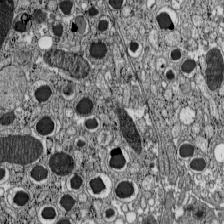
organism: C57BL Mouse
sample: Pancreatic islet